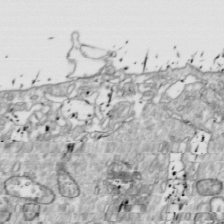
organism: Drosophila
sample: Cell division; meiosis; drosophila spermatocytes